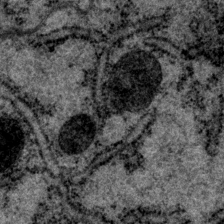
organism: P. pacificus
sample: Pharynx